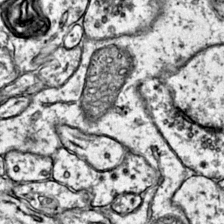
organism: Mouse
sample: Primary visual cortex